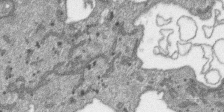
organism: Human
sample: Lung epithelial cells infected with SARS-CoV-2